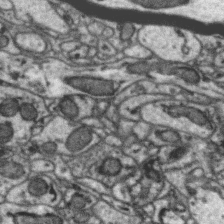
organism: Zebra finch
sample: Brain